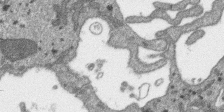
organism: Human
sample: Lung epithelial cells infected with SARS-CoV-2